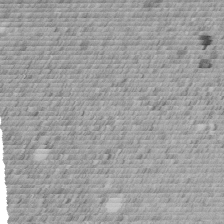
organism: C. elegans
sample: C. elegans embryo early stage